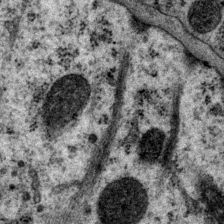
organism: P. pacificus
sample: Pharynx